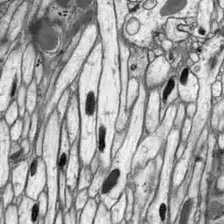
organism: Drosophila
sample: Optic lobe